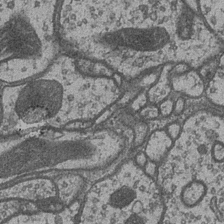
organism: Drosophila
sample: Optic medulla